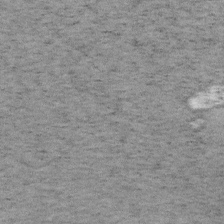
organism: Mouse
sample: OT-I killer T cells with ID8 ovarian cancer cells